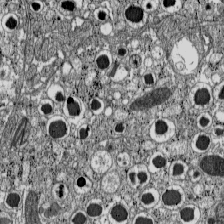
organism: C57BL Mouse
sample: Pancreatic islet